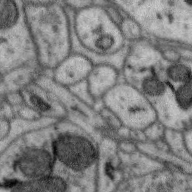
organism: Zebra finch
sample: Brain